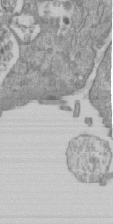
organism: Mouse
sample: ED-1 cell nuclei; centrioles